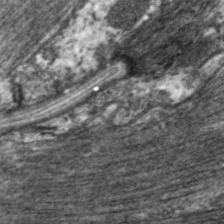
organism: C. elegans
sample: Pharynx